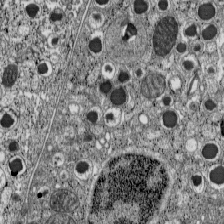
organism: C57BL Mouse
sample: Pancreatic islet